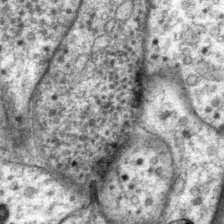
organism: P. pacificus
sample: Pharynx